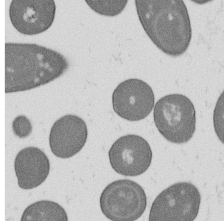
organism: B. subtilis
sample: Bacterial spore